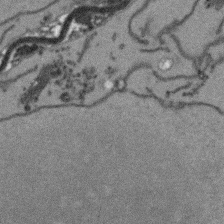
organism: Arabidopsis thaliana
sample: Root tip